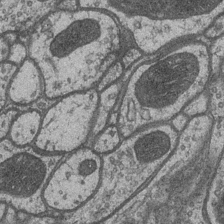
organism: Drosophila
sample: Optic medulla